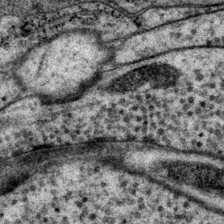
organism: P. pacificus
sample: Pharynx